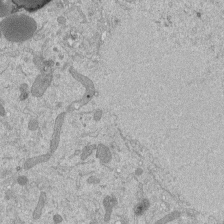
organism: Mouse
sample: ED-1 cell nuclei; centrioles